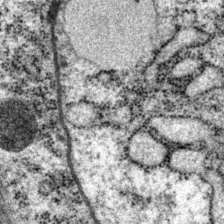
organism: P. pacificus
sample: Pharynx